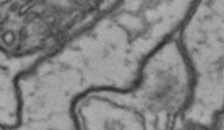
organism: Drosophila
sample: Brain